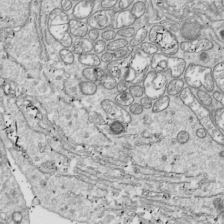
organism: Drosophila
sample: Cell division; meiosis; drosophila spermatocytes